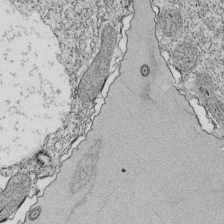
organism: Tetrahymena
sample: Cilia in tetrahymena